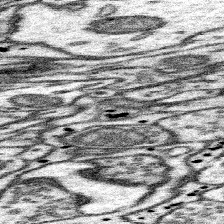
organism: Mouse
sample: Somatosensory cortex neuropil